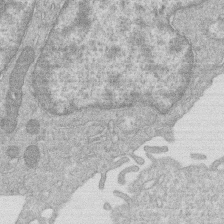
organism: Human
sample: Macrophage cells